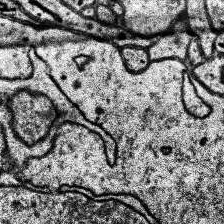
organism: Human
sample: Temporal Lobe